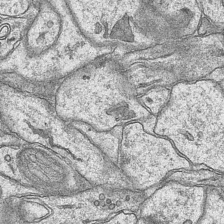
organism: Mouse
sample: CA1 Hippocampus